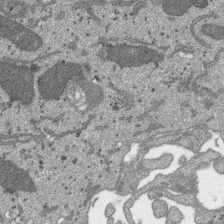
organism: Human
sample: Lung epithelial cells infected with SARS-CoV-2